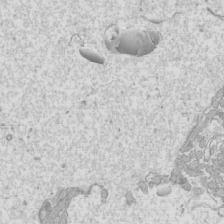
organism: Mouse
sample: Cilia; mouse epididymis